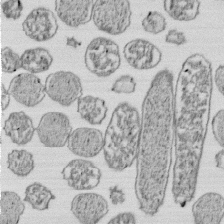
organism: E. coli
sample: Bacterial nucleoid